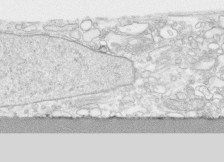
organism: Human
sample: CRL-1474